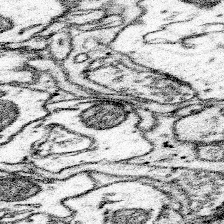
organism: Mouse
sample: Somatosensory cortex neuropil